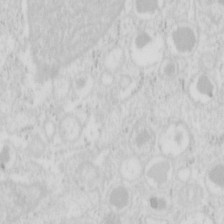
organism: Mouse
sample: Pancreas